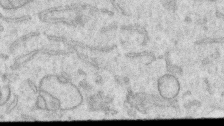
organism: Human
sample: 1205lu cells